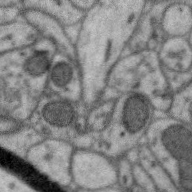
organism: Zebra finch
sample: Brain